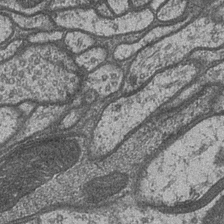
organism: Drosophila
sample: Optic medulla